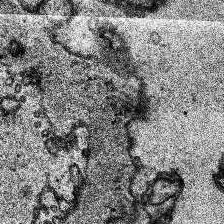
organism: Human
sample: Temporal Lobe